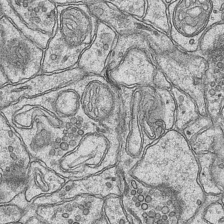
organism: Mouse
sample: CA1 Hippocampus